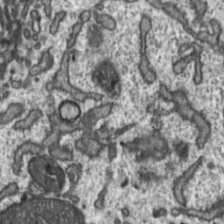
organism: Toxoplasma gondii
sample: Parasites in a vacuole inside a host cell